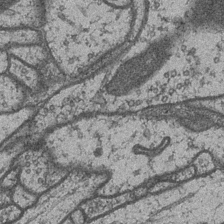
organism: Drosophila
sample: Optic medulla